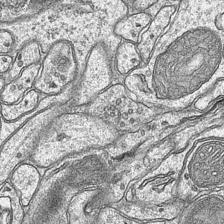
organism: Mouse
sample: CA1 Hippocampus